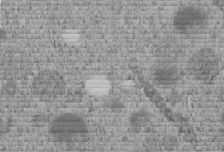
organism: C. elegans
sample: C. elegans embryo early stage